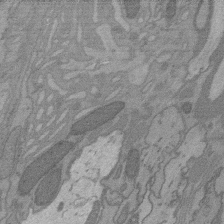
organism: C. elegans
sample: AFD neurons C. elegans